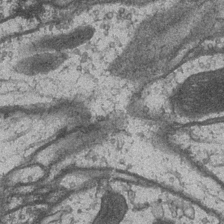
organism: Drosophila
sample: Optic medulla